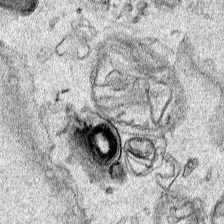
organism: Human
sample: Mitochondria in HCT116 cells